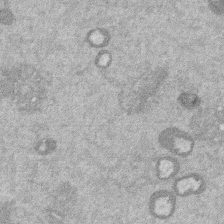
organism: Mouse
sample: Dividing mouse embryo 1 cell stage